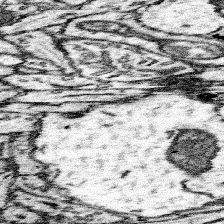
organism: Mouse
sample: Somatosensory cortex neuropil